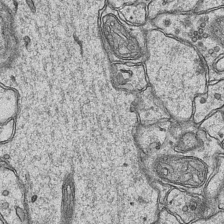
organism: Mouse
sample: CA1 Hippocampus